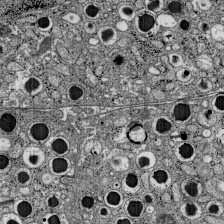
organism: C57BL Mouse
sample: Pancreatic islet